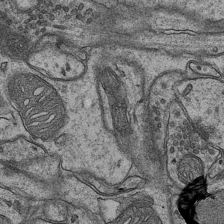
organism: Mouse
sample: CA1 Hippocampus